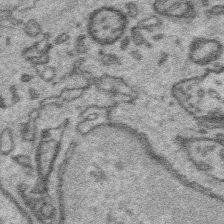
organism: Platynereis dumerilii